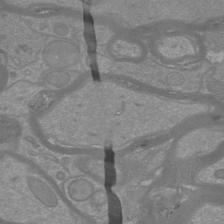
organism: Mouse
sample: Cortical neurons